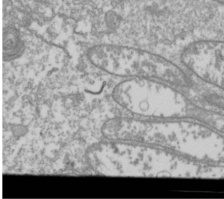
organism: Drosophila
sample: Cell division; meiosis; drosophila spermatocytes